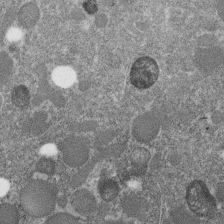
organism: C. elegans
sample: C. elegans embryo early stage